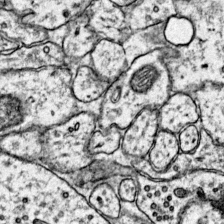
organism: Mouse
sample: Primary visual cortex